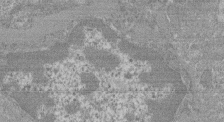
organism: Mouse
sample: Glomerulus